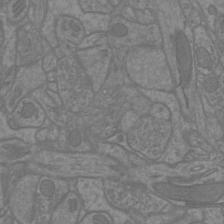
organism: Mouse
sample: Cortical neurons